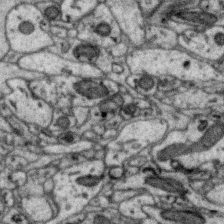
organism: Zebra finch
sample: Brain